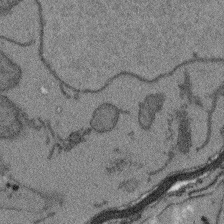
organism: Arabidopsis thaliana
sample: Root tip